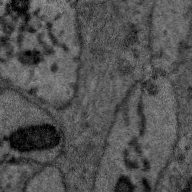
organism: Zebra finch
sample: Brain